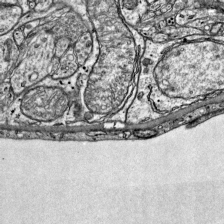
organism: Mouse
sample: Visual Cortex